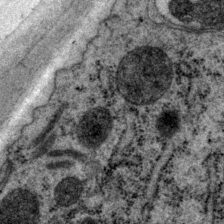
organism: P. pacificus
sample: Pharynx